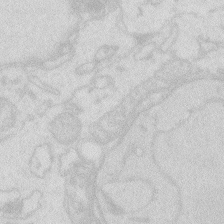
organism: Zebrafish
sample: Macrophage